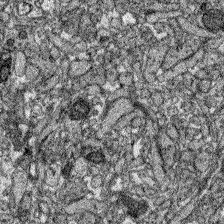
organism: Zebrafish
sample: Larval olfactory bulb